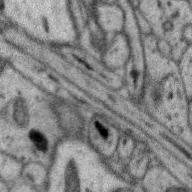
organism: Zebra finch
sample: Brain